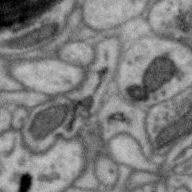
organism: Zebra finch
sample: Brain